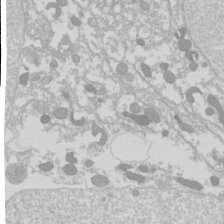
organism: Drosophila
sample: Cell division; meiosis; drosophila spermatocytes